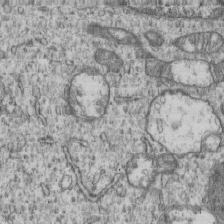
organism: Human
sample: MDA-MB-231 cells